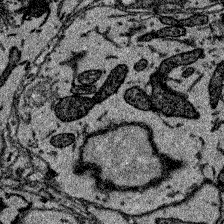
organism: Zebrafish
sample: Larval olfactory bulb